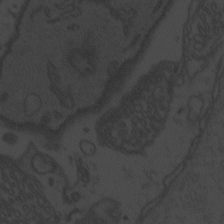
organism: Zebrafish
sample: Macrophage infected with Toxoplasma gondii